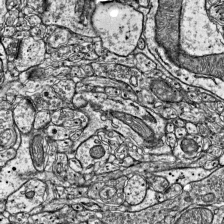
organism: Mouse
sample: Visual Cortex